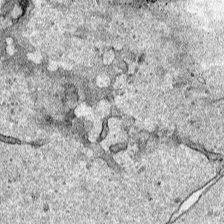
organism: Human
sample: Mitochondria in HCT116 cells